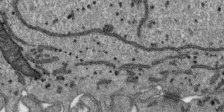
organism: Human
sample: Lung epithelial cells, uninfected (mock) control